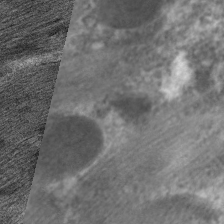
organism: C. elegans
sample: Pharynx